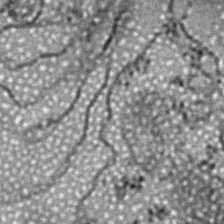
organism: Zebrafish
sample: Zebrafish embryo